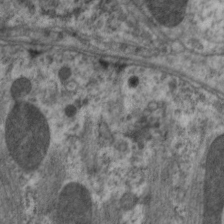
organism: C. elegans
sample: Pharynx